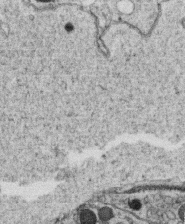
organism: C. elegans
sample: C. elegans oocyte; sperm cells